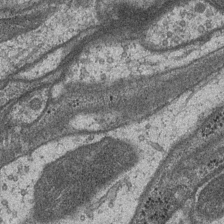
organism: Drosophila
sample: Optic medulla